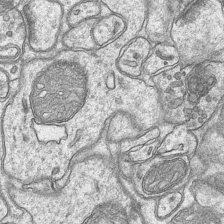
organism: Mouse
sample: CA1 Hippocampus